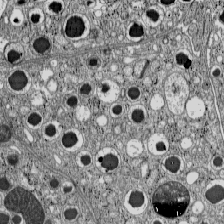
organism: C57BL Mouse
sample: Pancreatic islet